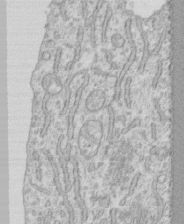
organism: Human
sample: CRL-1474